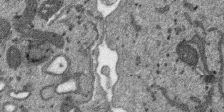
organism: Human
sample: Lung epithelial cells infected with SARS-CoV-2